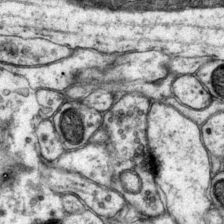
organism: Mouse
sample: Primary visual cortex